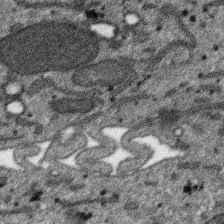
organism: Human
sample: Lung epithelial cells infected with SARS-CoV-2